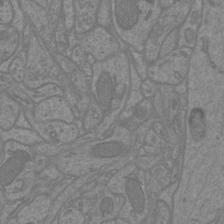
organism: Mouse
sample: Cortical neurons